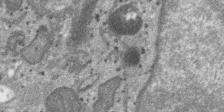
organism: Human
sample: Lung epithelial cells infected with SARS-CoV-2